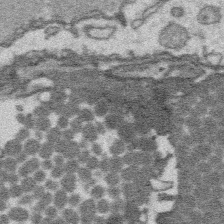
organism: Platynereis dumerilii